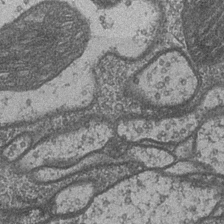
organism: Drosophila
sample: Optic medulla